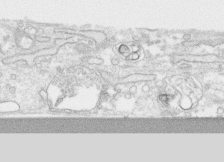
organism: Human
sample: CRL-1474